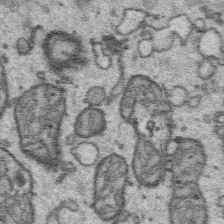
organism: Platynereis dumerilii